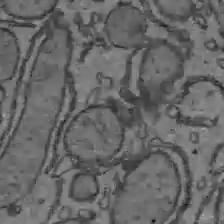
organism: C57BL Mouse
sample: Liver